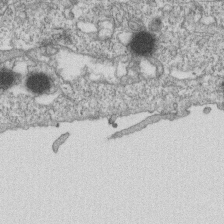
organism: Human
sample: HeLa cell HIV synapse